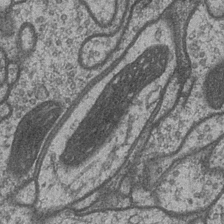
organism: Drosophila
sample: Optic medulla